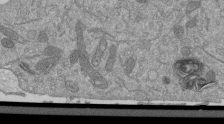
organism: Mouse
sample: ED-1 cell nuclei; centrioles